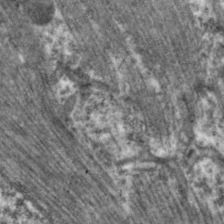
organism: C. elegans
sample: Pharynx